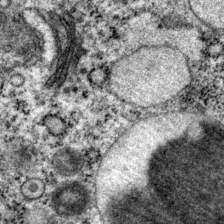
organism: P. pacificus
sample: Pharynx